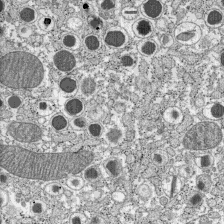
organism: C57BL Mouse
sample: Pancreatic islet